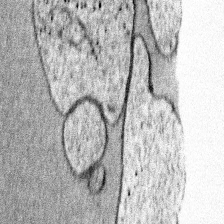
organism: Human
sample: HeLa cells